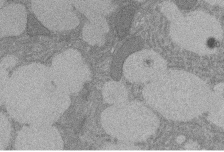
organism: Rat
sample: Salivary granule